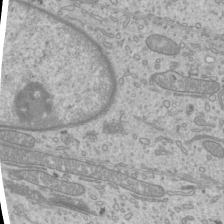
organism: Mouse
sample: Cilia; mouse epididymis